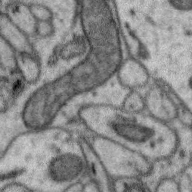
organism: Zebra finch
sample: Brain